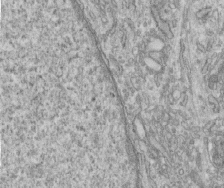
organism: Human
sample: Centriole in fibroblast cells